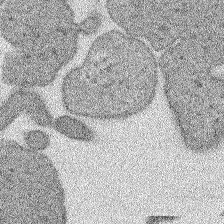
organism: Human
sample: HeLa cells